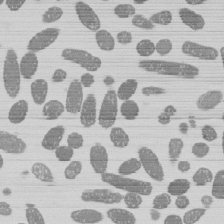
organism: E. coli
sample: Bacterial nucleoid